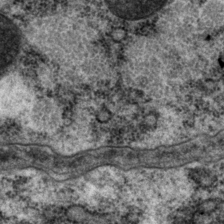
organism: P. pacificus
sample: Pharynx